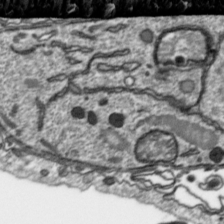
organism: Toxoplasma gondii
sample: Parasites in a vacuole inside a host cell